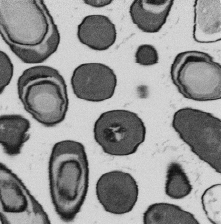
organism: B. subtilis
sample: Bacterial spore